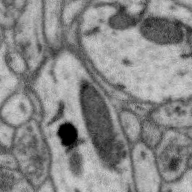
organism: Zebra finch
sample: Brain